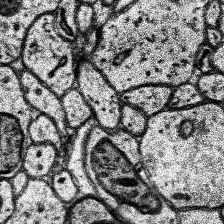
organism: Human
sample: Temporal Lobe